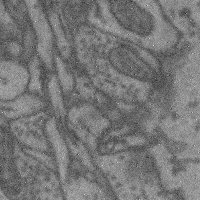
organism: Mouse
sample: Cerebral cortex